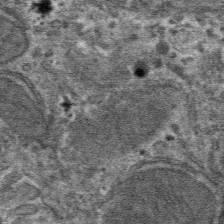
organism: Mouse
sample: Mouse hepatocytes